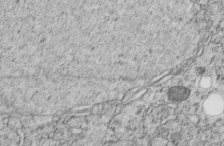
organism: C. elegans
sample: C. elegans embryo early stage